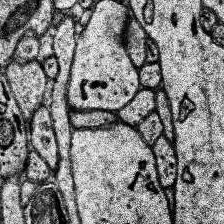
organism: Human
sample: Temporal Lobe